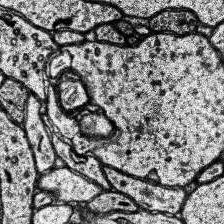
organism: Human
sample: Temporal Lobe